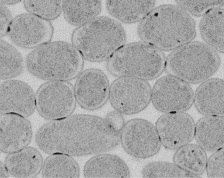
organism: E. coli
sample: Bacterial nucleoid